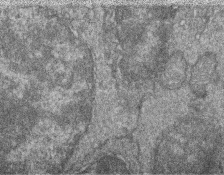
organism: Zebrafish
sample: Cilia; retinal pigment epithelium